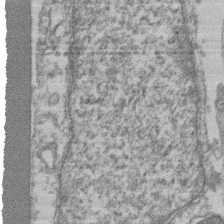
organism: Mouse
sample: T cell stromal cell synapse